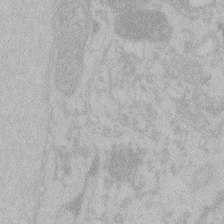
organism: Zebrafish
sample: Macrophage infected with Toxoplasma gondii